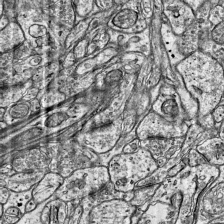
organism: Mouse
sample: Visual Cortex